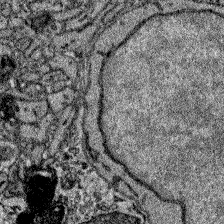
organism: Zebrafish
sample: Larval olfactory bulb